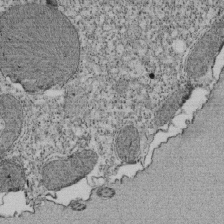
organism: Tetrahymena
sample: Cilia in tetrahymena